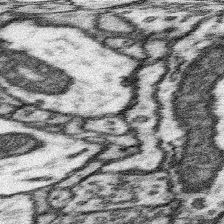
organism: Mouse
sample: Somatosensory cortex neuropil